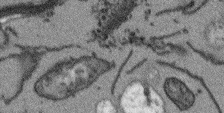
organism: Arabidopsis thaliana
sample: Root tip